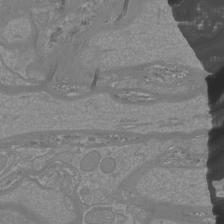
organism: Mouse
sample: Cortical neurons